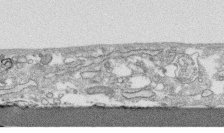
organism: Human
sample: CRL-1474